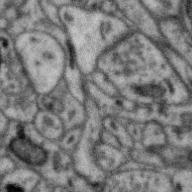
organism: Zebra finch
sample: Brain